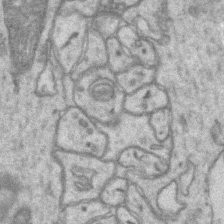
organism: Mouse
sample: CA1 Hippocampus